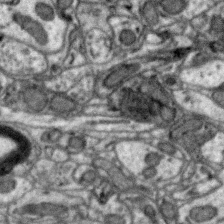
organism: Zebra finch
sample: Brain